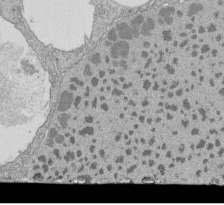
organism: Tetrahymena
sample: Cilia in tetrahymena